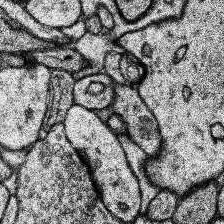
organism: Human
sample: Temporal Lobe